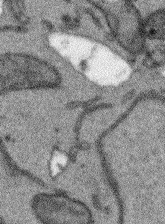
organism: Arabidopsis thaliana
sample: Root tip